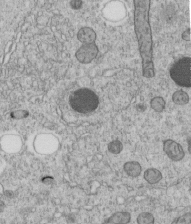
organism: C. elegans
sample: C. elegans embryo early stage